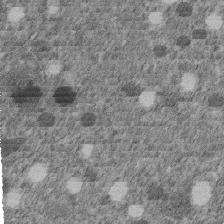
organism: C. elegans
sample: C. elegans embryo early stage